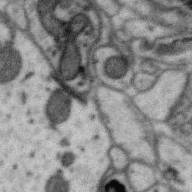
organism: Zebra finch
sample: Brain